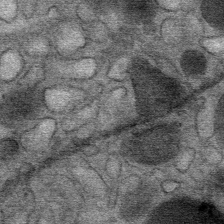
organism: Mouse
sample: Mouse Salivary gland